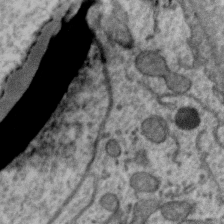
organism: Zebra finch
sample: Brain